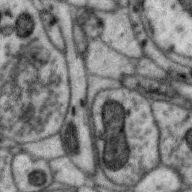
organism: Zebra finch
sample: Brain